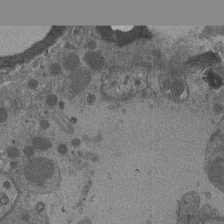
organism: Drosophila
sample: Antenna